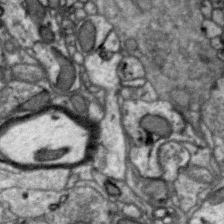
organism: Zebra finch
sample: Brain